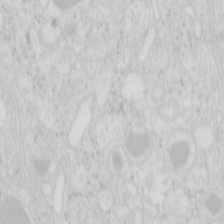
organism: Mouse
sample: Pancreas